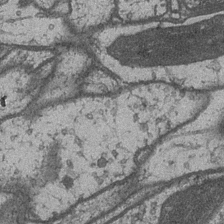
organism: Drosophila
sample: Optic medulla